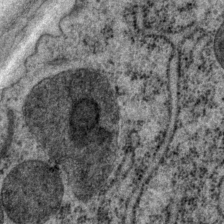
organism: P. pacificus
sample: Pharynx